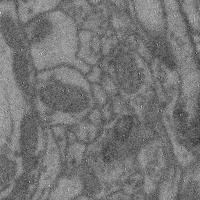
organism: Mouse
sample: Cerebral cortex